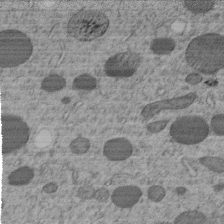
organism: C. elegans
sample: C. elegans embryo early stage